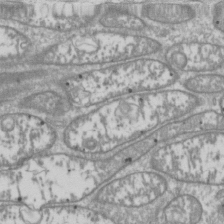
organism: Drosophila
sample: Cell division; meiosis; drosophila spermatocytes